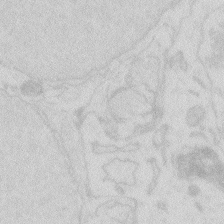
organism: Zebrafish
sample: Macrophage